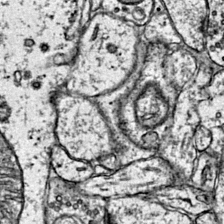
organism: Mouse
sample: Primary visual cortex